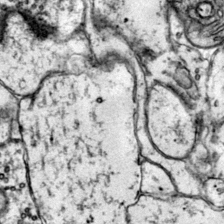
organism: Mouse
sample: Primary visual cortex